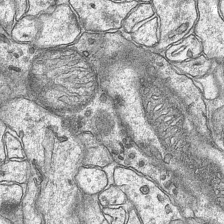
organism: Mouse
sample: CA1 Hippocampus